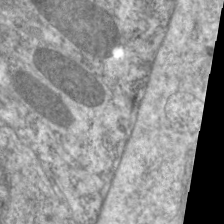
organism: C. elegans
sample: Pharynx